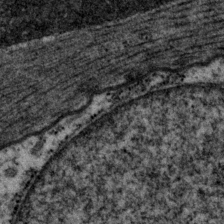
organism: P. pacificus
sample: Pharynx